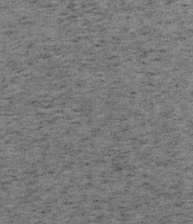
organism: Mouse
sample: OT-I killer T cells with ID8 ovarian cancer cells